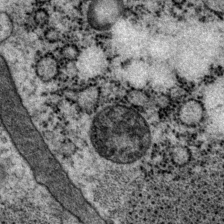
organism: P. pacificus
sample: Pharynx